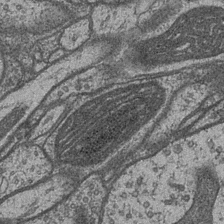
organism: Drosophila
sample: Optic medulla